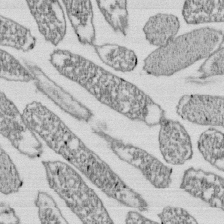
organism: E. coli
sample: Bacterial nucleoid